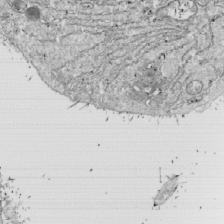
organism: Drosophila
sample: Cell division; meiosis; drosophila spermatocytes